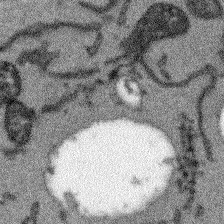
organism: Arabidopsis thaliana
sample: Root tip